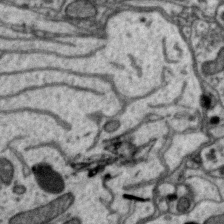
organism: Zebra finch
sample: Brain